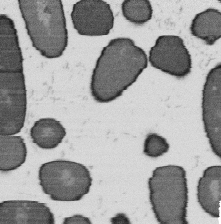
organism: B. subtilis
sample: Bacterial spore